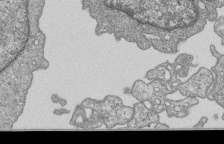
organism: Human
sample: MDA-MB-231 cells